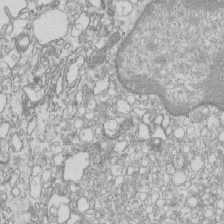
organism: Mouse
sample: Macrophages